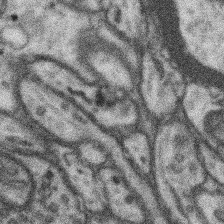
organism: Mouse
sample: Somatosensory cortex neuropil